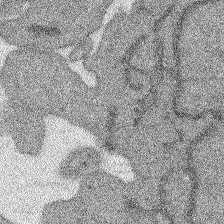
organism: Human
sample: HeLa cells